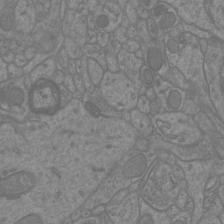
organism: Mouse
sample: Cortical neurons